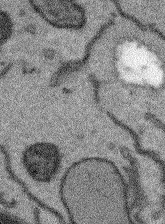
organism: Arabidopsis thaliana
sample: Root tip